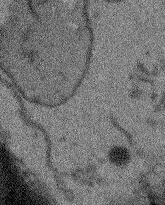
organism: Arabidopsis thaliana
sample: Root tip